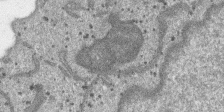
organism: Human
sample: Lung epithelial cells infected with SARS-CoV-2